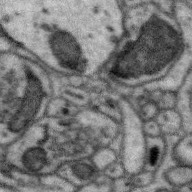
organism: Zebra finch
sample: Brain